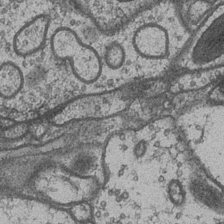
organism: Drosophila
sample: Optic medulla